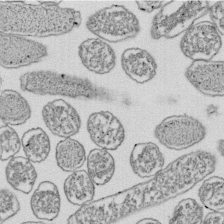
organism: E. coli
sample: Bacterial nucleoid